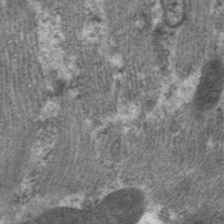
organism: C. elegans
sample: Pharynx